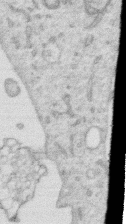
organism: Human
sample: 1205lu cells